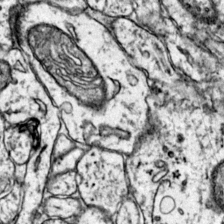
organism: Mouse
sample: Primary visual cortex